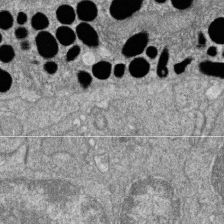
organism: Zebrafish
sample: Cilia; retinal pigment epithelium